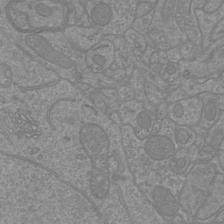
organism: Mouse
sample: Cortical neurons